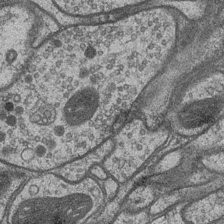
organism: Drosophila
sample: Optic medulla